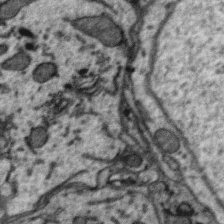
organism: Zebra finch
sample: Brain